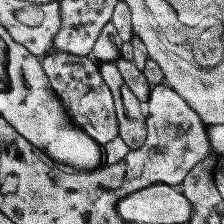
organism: Human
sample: Temporal Lobe